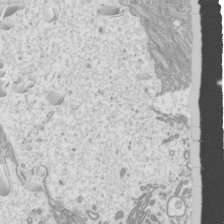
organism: Mouse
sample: Cilia; mouse epididymis